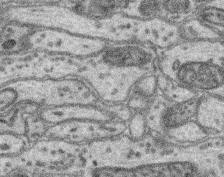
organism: Mouse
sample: Retina